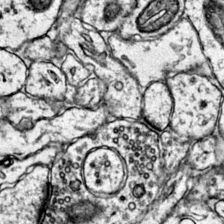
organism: Mouse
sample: Primary visual cortex